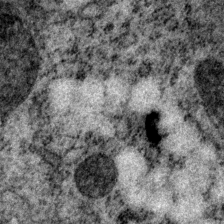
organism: P. pacificus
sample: Pharynx